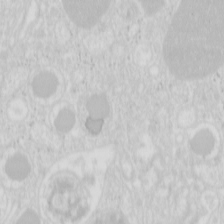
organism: Mouse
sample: Pancreas